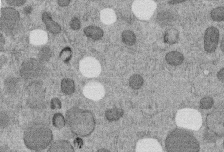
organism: C. elegans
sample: C. elegans embryo early stage